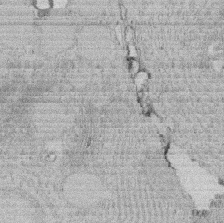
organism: Rat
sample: Salivary granule